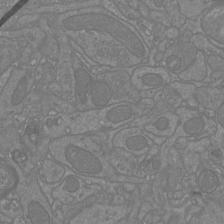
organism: Mouse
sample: Cortical neurons